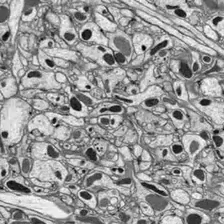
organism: Drosophila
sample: Optic lobe